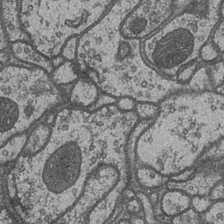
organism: Drosophila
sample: Optic medulla